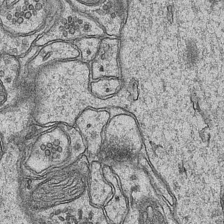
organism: Mouse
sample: CA1 Hippocampus